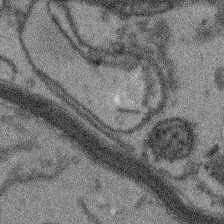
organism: Arabidopsis thaliana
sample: Root tip